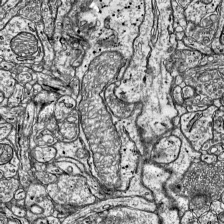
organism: Mouse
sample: Visual Cortex